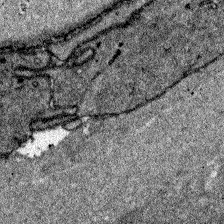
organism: Zebrafish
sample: Larval olfactory bulb